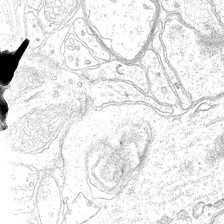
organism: Mouse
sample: CA1 Hippocampus